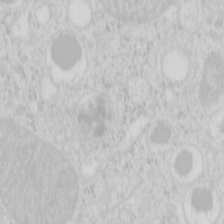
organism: Mouse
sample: Pancreas